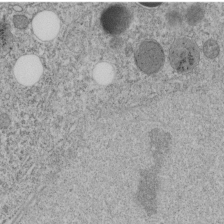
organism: C. elegans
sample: C. elegans embryo early stage